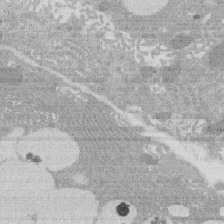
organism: Rat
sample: Salivary granule